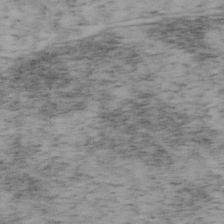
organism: Mouse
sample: OT-I killer T cells with ID8 ovarian cancer cells